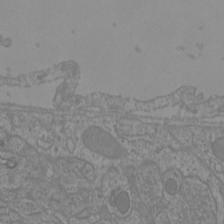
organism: Mouse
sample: Cortical neurons